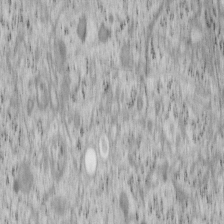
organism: Human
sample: HeLa cells